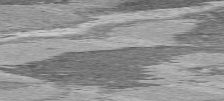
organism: C57BL Mouse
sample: Heart